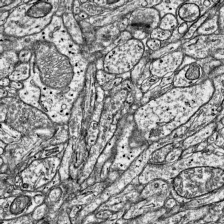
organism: Mouse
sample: Visual Cortex